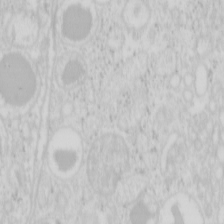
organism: Mouse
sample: Pancreas